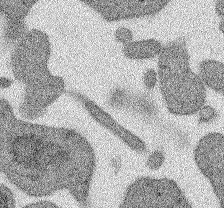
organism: Human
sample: HeLa cells